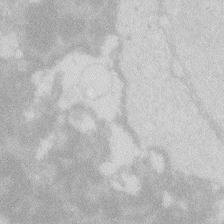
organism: Zebrafish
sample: Macrophage